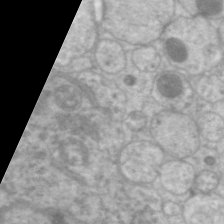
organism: C. elegans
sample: Pharynx